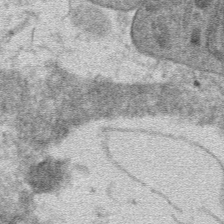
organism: Mouse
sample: Mouse hepatocytes